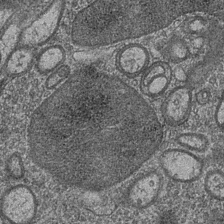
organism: Drosophila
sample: Optic medulla